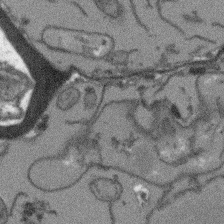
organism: Arabidopsis thaliana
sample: Root tip